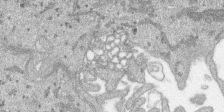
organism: Human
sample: Lung epithelial cells infected with SARS-CoV-2